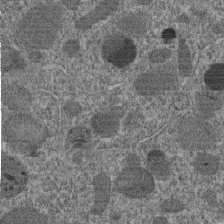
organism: C. elegans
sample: C. elegans embryo early stage